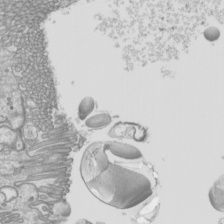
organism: Mouse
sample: Cilia; mouse epididymis